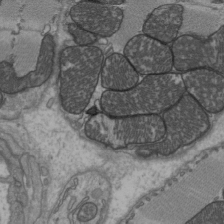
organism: C57BL Mouse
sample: Heart